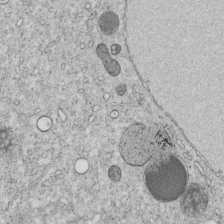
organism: C. elegans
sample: C. elegans embryo early stage